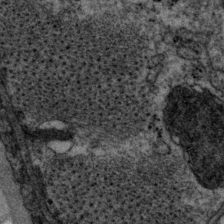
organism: P. pacificus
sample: Pharynx